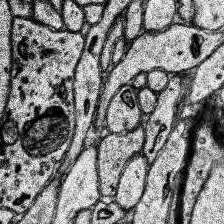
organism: Human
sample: Temporal Lobe